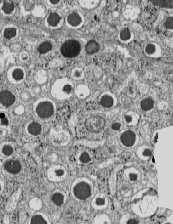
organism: C57BL Mouse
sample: Pancreatic islet